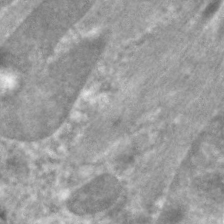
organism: C. elegans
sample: Pharynx